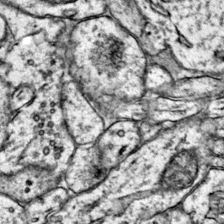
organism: Mouse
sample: Primary visual cortex